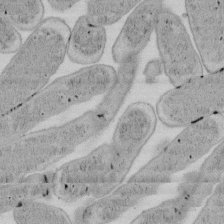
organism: E. coli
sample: Bacterial nucleoid